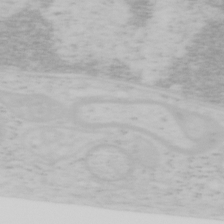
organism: Mouse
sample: OT-I killer T cells with ID8 ovarian cancer cells